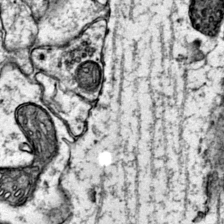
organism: Mouse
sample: Primary visual cortex